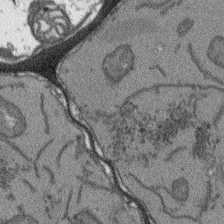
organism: Arabidopsis thaliana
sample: Root tip